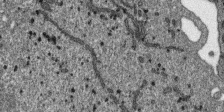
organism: Human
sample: Lung epithelial cells infected with SARS-CoV-2